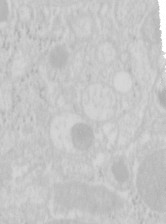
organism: Mouse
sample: Pancreas